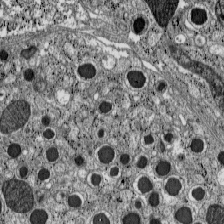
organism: C57BL Mouse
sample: Pancreatic islet